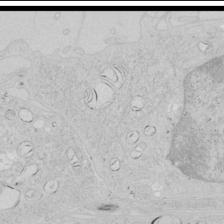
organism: Human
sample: Mitochondria in HCT116 cells